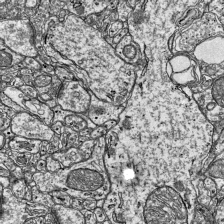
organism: Mouse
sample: Visual Cortex